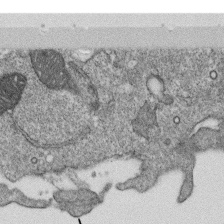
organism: African green monkey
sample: Vero E6 cells infected with SARS-CoV-2